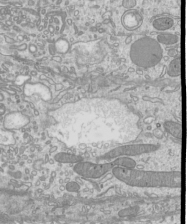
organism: Mouse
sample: Cilia; mouse epididymis